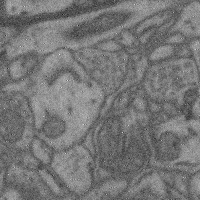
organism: Mouse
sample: Cerebral cortex